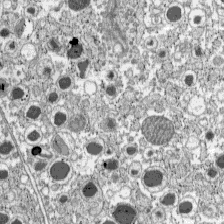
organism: C57BL Mouse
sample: Pancreatic islet